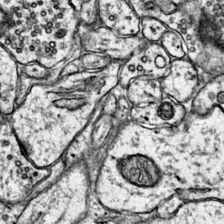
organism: Mouse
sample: Primary visual cortex